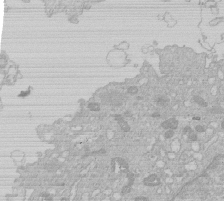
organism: Human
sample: Macrophage cells